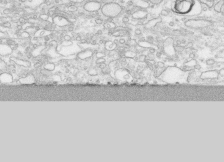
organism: Human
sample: CRL-1474